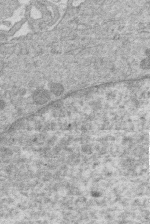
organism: Human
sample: Macrophage cells